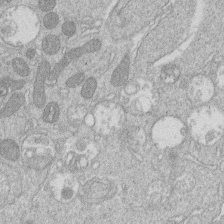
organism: Human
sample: Macrophage cells